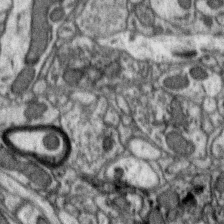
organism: Zebra finch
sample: Brain